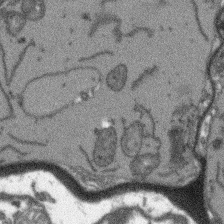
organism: Arabidopsis thaliana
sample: Root tip